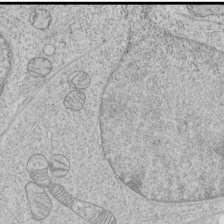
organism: Human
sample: Mitochondria in HCT116 cells